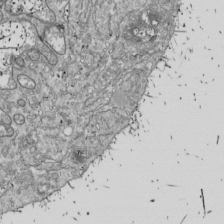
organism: Drosophila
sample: Cell division; meiosis; drosophila spermatocytes